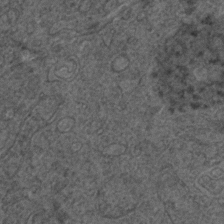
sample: Trachea